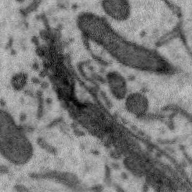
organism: Zebra finch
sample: Brain